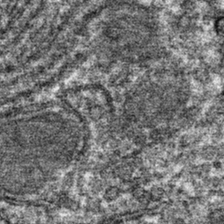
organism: Mouse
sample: Mouse hepatocytes